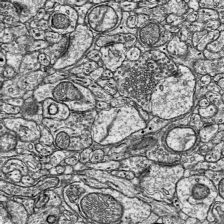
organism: Mouse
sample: Visual Cortex